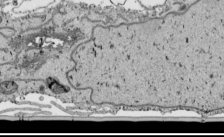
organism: Human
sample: Mitochondria in HCT116 cells